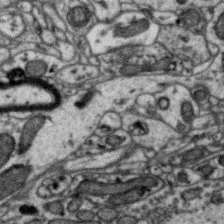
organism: Zebra finch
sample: Brain